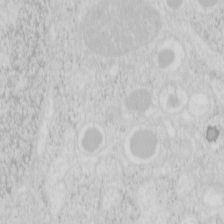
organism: Mouse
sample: Pancreas